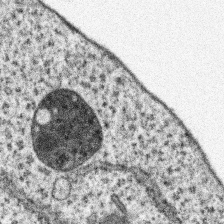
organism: Human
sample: HeLa cells